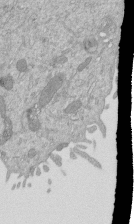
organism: Mouse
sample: ED-1 cell nuclei; centrioles